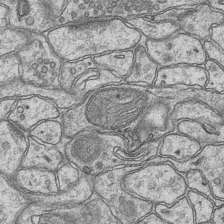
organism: Mouse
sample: CA1 Hippocampus